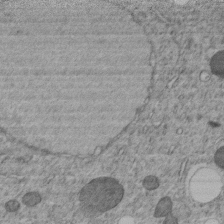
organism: C. elegans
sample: C. elegans embryo early stage